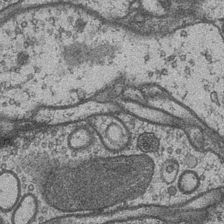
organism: Drosophila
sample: Optic medulla